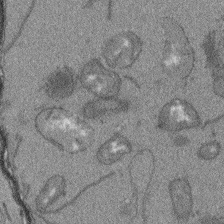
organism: Arabidopsis thaliana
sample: Root tip